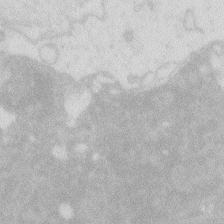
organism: Zebrafish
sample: Macrophage